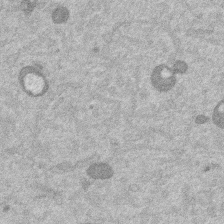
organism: Mouse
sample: Dividing mouse embryo 1 cell stage